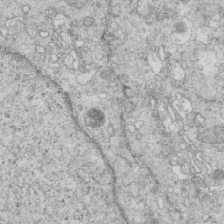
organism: Mouse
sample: Multiciliated cells